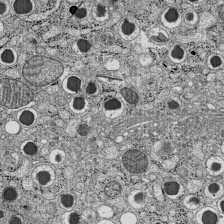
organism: C57BL Mouse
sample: Pancreatic islet